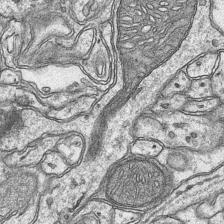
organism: Mouse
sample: CA1 Hippocampus